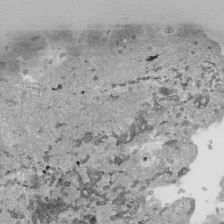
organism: Human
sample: Mitochondria in HCT116 cells